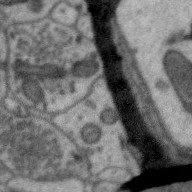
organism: Zebra finch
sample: Brain